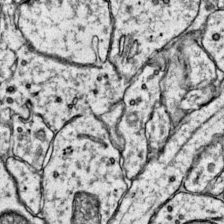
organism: Mouse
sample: Primary visual cortex